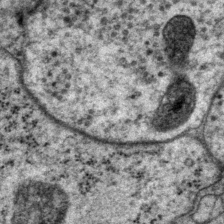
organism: P. pacificus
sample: Pharynx